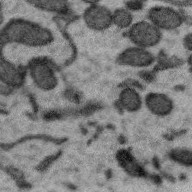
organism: Zebra finch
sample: Brain